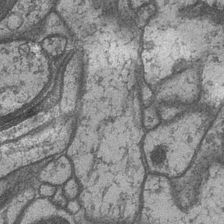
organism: Drosophila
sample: Optic medulla